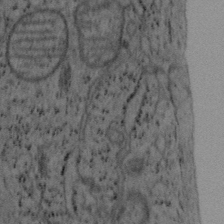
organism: Human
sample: HeLa cells